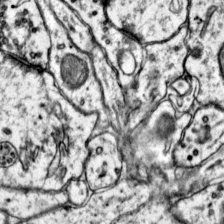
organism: Mouse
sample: Primary visual cortex